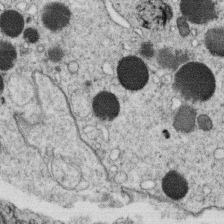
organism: C. elegans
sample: C. elegans oocyte; sperm cells